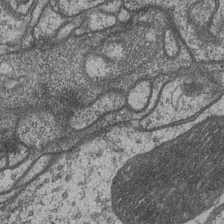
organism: Drosophila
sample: Optic medulla